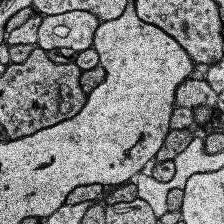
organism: Human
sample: Temporal Lobe